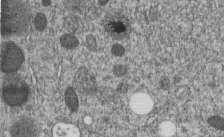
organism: C. elegans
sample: C. elegans embryo early stage